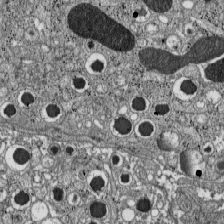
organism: C57BL Mouse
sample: Pancreatic islet